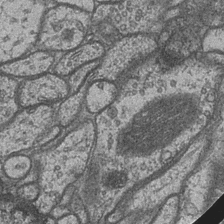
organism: Drosophila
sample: Optic medulla